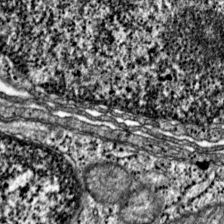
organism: Mouse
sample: Primary visual cortex